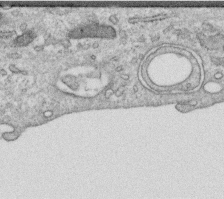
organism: Human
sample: Centriole in RPE cells